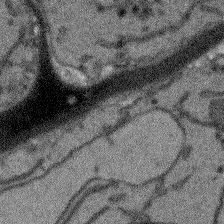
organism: Arabidopsis thaliana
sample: Root tip